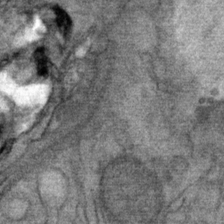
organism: Mouse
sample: Mouse Salivary gland